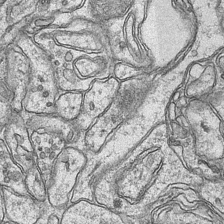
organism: Mouse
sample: CA1 Hippocampus